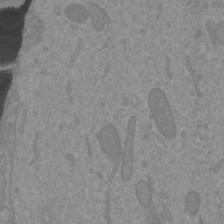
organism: Mouse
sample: Cortical neurons